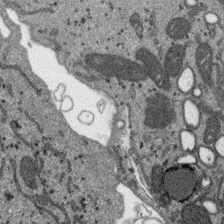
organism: Human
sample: Lung epithelial cells infected with SARS-CoV-2